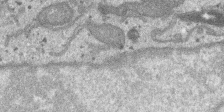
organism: Human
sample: Lung epithelial cells infected with SARS-CoV-2